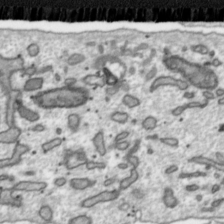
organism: Toxoplasma gondii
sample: Parasites in a vacuole inside a host cell